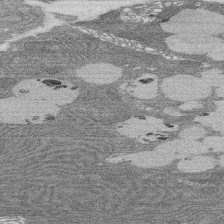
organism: Rat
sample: Salivary granule